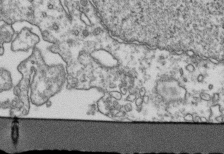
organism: Human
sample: Activated Jurkat CD4+ T cells